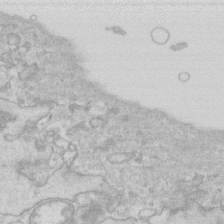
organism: Human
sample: Fibroblast cells